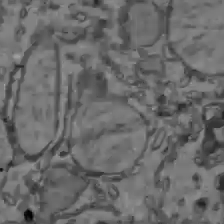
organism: C57BL Mouse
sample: Liver